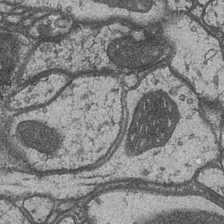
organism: Drosophila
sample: Optic medulla